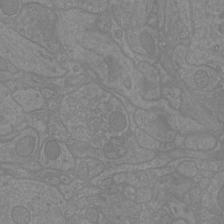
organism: Mouse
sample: Cortical neurons